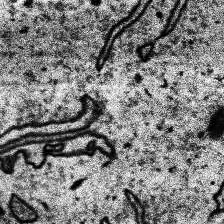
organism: Human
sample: Temporal Lobe